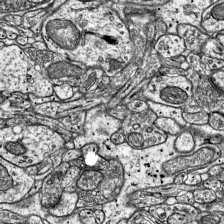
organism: Mouse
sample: Visual Cortex